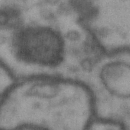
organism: Drosophila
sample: Brain